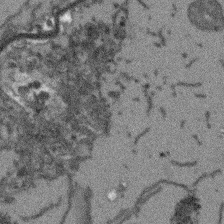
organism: Arabidopsis thaliana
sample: Root tip